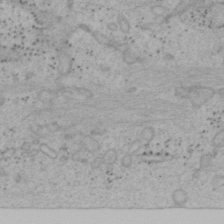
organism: Human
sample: HeLa cells